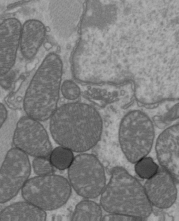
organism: C57BL Mouse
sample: Heart